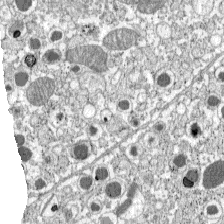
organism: C57BL Mouse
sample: Pancreatic islet